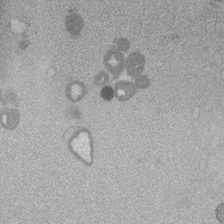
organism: Mouse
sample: Dividing mouse embryo 1 cell stage